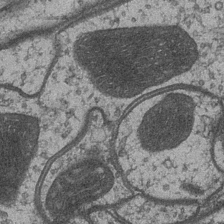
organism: Drosophila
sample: Optic medulla